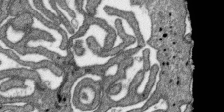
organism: Human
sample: Lung epithelial cells, uninfected (mock) control